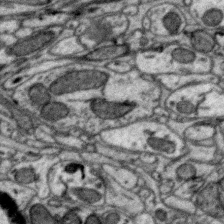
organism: Zebra finch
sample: Brain